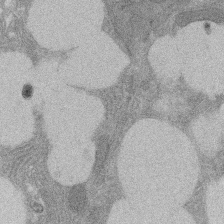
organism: Rat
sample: Salivary granule